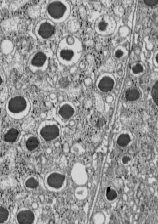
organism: C57BL Mouse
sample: Pancreatic islet